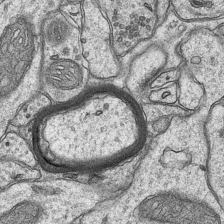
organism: Mouse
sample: CA1 Hippocampus